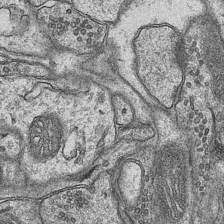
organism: Mouse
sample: CA1 Hippocampus